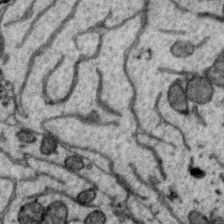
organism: Zebra finch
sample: Brain